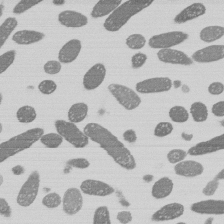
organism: E. coli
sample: Bacterial nucleoid